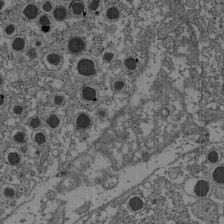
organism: C57BL Mouse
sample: Pancreatic islet